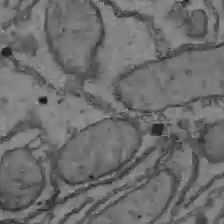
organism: C57BL Mouse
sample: Liver